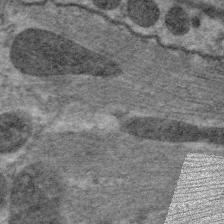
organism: C. elegans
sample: Pharynx